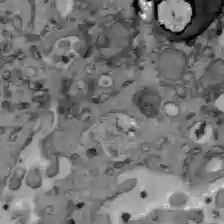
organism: C57BL Mouse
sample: Liver